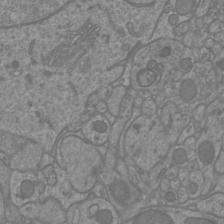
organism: Mouse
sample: Cortical neurons